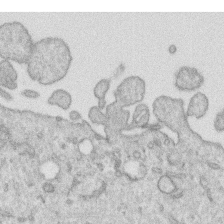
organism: Human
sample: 1205lu cells